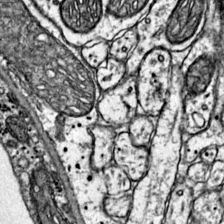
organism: Mouse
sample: Primary visual cortex